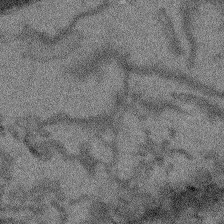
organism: Arabidopsis thaliana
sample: Root tip